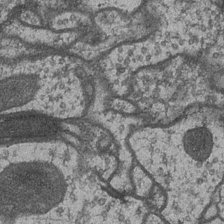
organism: Drosophila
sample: Optic medulla